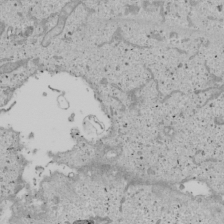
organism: Human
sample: Mitochondria in U2OS cells